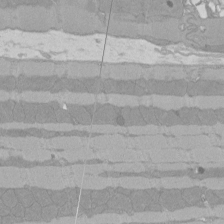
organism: Rat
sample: Left ventricle